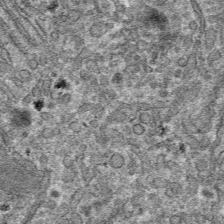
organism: Mouse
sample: Mouse hepatocytes